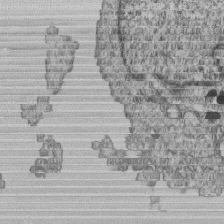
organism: Human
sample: MDA-MB-231 cells